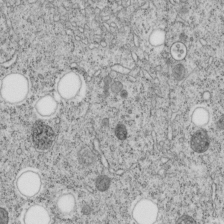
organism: C. elegans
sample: C. elegans embryo early stage